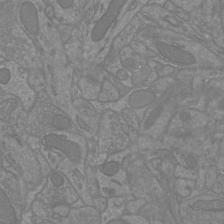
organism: Mouse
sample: Cortical neurons